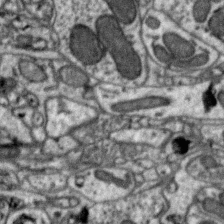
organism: Zebra finch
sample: Brain